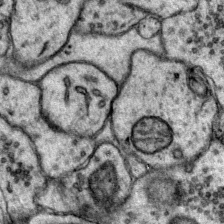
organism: Mouse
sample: Primary visual cortex